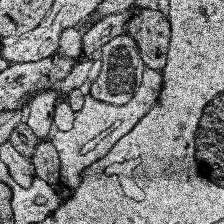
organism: Human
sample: Temporal Lobe